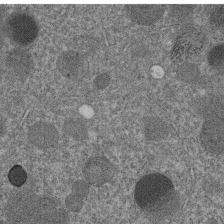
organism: C. elegans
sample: C. elegans embryo early stage